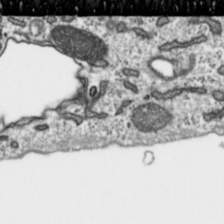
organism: Toxoplasma gondii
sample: Parasites in a vacuole inside a host cell